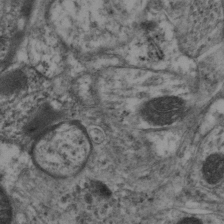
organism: Mouse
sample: Neocortex